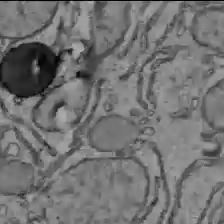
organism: C57BL Mouse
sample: Liver